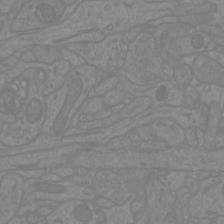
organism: Mouse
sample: Cortical neurons